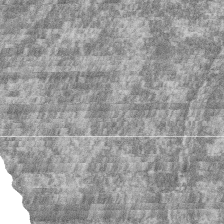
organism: Zebrafish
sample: Cilia; retinal pigment epithelium